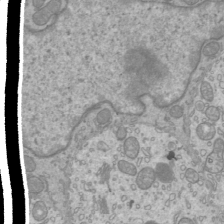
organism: Mouse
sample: Cilia; mouse epididymis